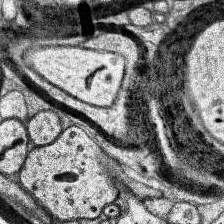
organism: Human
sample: Temporal Lobe